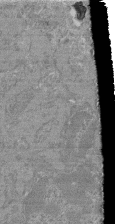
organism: Mouse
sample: Glomerulus